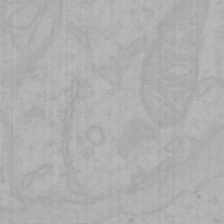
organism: Mouse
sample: Choroid plexus